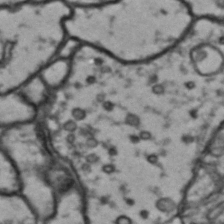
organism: Drosophila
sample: Brain